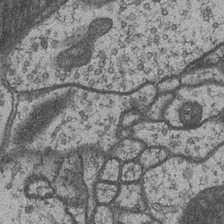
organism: Drosophila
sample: Optic medulla